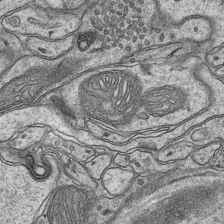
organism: Mouse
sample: CA1 Hippocampus